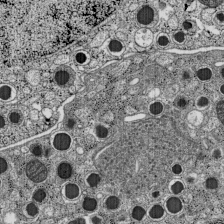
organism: C57BL Mouse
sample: Pancreatic islet